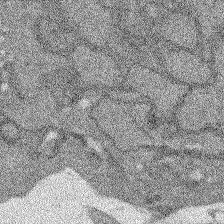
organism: Human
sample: HeLa cells